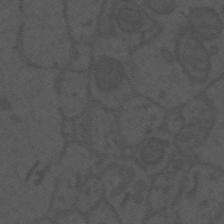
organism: Mouse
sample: Suprachiasmatic nucleus